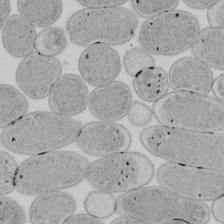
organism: E. coli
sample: Bacterial nucleoid